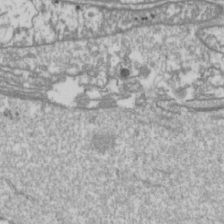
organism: Drosophila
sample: Cell division; meiosis; drosophila spermatocytes